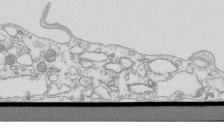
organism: Mouse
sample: Macrophages